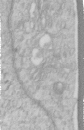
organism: Human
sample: Centriole in RPE cells